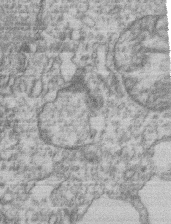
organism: Mouse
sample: T cell stromal cell synapse